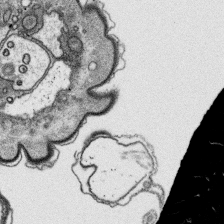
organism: Platynereis dumerilii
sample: Parapodia